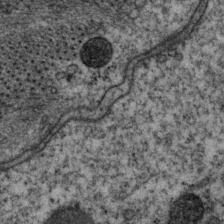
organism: P. pacificus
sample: Pharynx